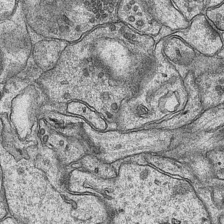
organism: Mouse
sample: CA1 Hippocampus